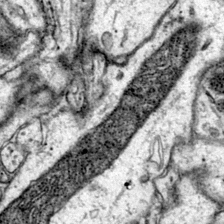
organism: Mouse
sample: Primary visual cortex